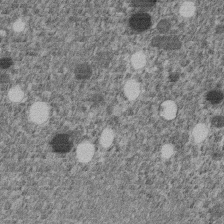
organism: C. elegans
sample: C. elegans embryo early stage